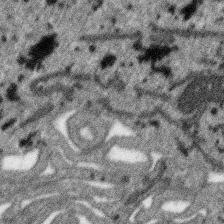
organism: Human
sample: Lung epithelial cells infected with SARS-CoV-2